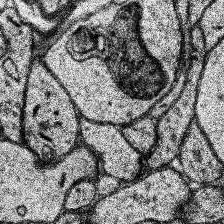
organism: Human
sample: Temporal Lobe